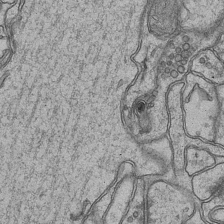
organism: Mouse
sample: CA1 Hippocampus